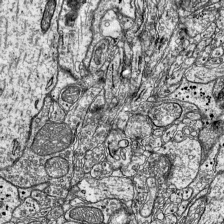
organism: Mouse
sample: Visual Cortex